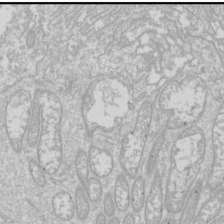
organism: Drosophila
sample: Cell division; meiosis; drosophila spermatocytes